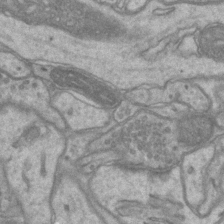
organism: Mouse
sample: CA1 Hippocampus